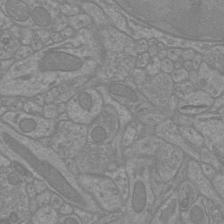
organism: Mouse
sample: Cortical neurons